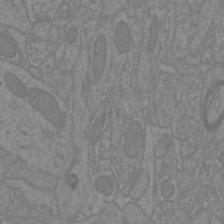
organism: Mouse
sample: Cortical neurons